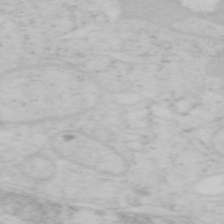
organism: Mouse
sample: OT-I killer T cells with ID8 ovarian cancer cells